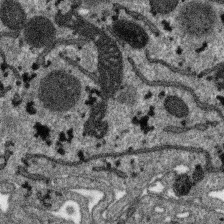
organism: Human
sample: Lung epithelial cells infected with SARS-CoV-2